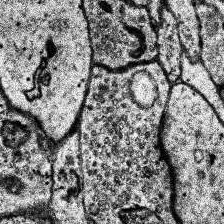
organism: Human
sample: Temporal Lobe